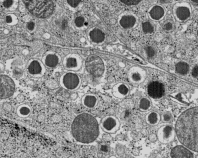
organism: C57BL Mouse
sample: Pancreatic islet